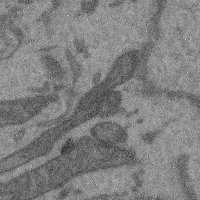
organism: Mouse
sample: Cerebral cortex